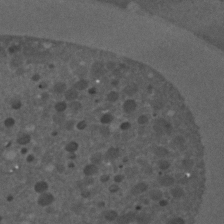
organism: C. elegans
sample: C. elegans embryo